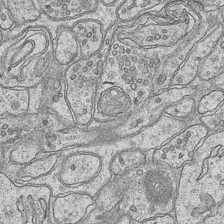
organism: Mouse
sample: CA1 Hippocampus